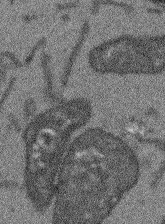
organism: Arabidopsis thaliana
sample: Root tip